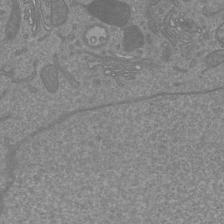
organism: Mouse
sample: Cortical neurons